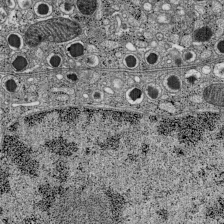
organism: C57BL Mouse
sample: Pancreatic islet